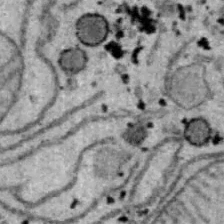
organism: Mouse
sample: Liver from an obese (ob/ob) mouse